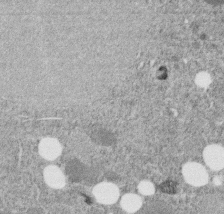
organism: C. elegans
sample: C. elegans embryo early stage